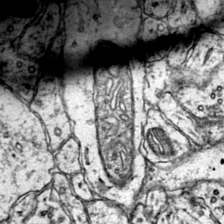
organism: Mouse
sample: Primary visual cortex